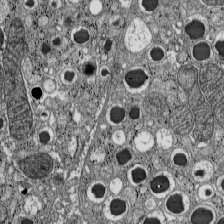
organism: C57BL Mouse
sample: Pancreatic islet